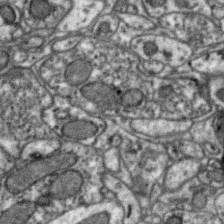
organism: Zebra finch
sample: Brain